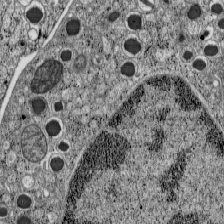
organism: C57BL Mouse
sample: Pancreatic islet